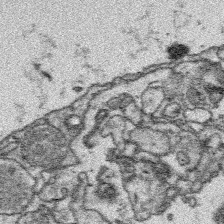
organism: Platynereis dumerilii